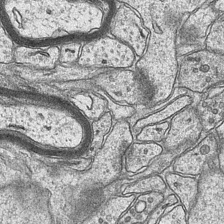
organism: Mouse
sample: CA1 Hippocampus